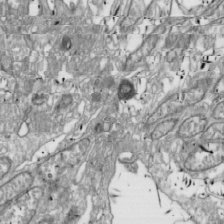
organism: Drosophila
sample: Cell division; meiosis; drosophila spermatocytes